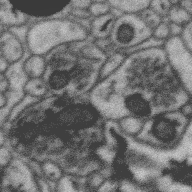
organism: Zebra finch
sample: Brain